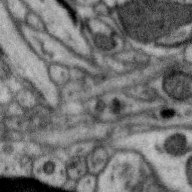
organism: Zebra finch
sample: Brain